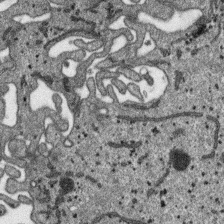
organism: Human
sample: Lung epithelial cells infected with SARS-CoV-2